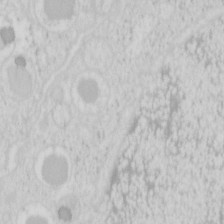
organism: Mouse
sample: Pancreas